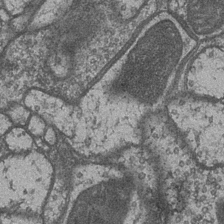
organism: Drosophila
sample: Optic medulla